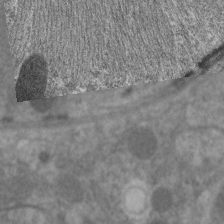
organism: C. elegans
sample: Pharynx